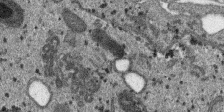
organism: Human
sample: Lung epithelial cells infected with SARS-CoV-2